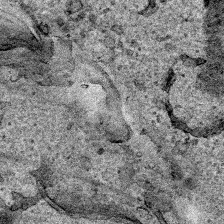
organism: Human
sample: Mitochondria in HCT116 cells